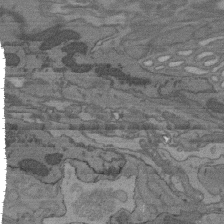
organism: C. elegans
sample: AFD neurons C. elegans